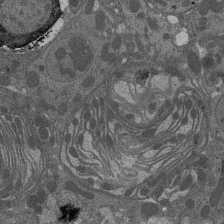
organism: Drosophila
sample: Antenna